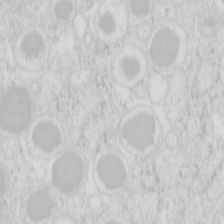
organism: Mouse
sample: Pancreas